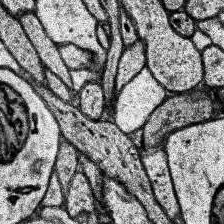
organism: Human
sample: Temporal Lobe